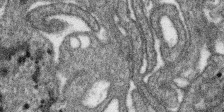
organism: Human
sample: Lung epithelial cells infected with SARS-CoV-2